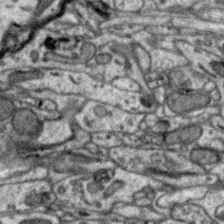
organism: Zebra finch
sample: Brain